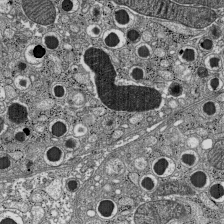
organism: C57BL Mouse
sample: Pancreatic islet